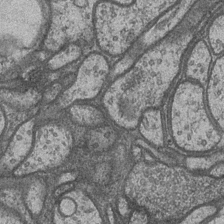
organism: Drosophila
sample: Optic medulla